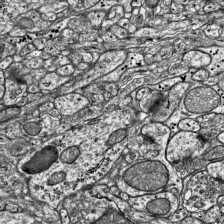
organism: Mouse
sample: Visual Cortex